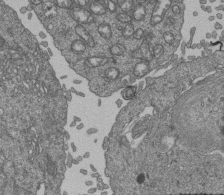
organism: Human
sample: Retinal organoid Rod and Cone cells